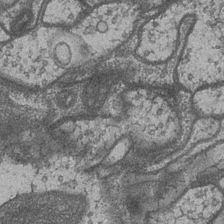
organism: Drosophila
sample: Optic medulla